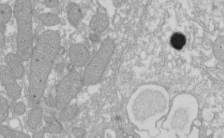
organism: Xenopus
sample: Cilia; centrioles in frog embryo cells